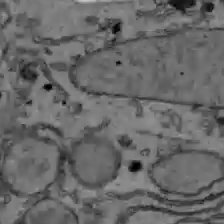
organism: C57BL Mouse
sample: Liver